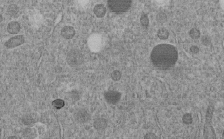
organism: C. elegans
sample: C. elegans embryo early stage